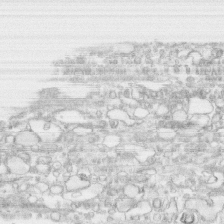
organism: Human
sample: CRL-1474